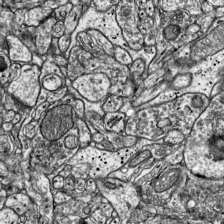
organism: Mouse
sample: Visual Cortex